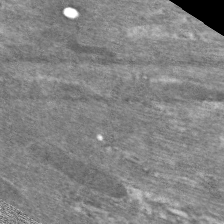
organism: C. elegans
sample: Pharynx